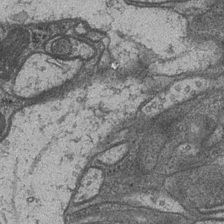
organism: Drosophila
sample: Optic medulla